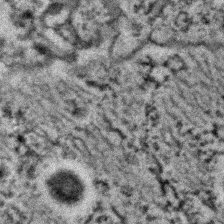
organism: C. elegans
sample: C. elegans embryo